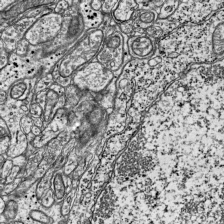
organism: Mouse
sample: Visual Cortex